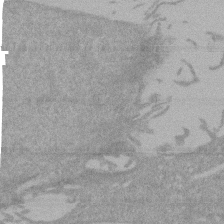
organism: Mouse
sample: ED-1 cell nuclei; centrioles